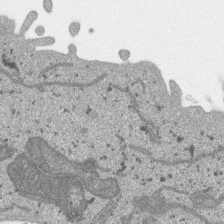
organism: Human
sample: Lung epithelial cells infected with SARS-CoV-2